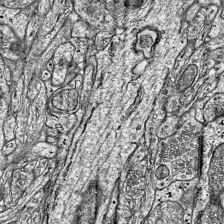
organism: Mouse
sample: Visual Cortex